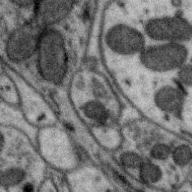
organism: Zebra finch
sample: Brain